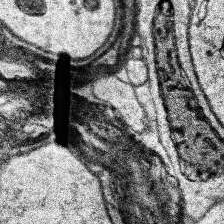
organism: Human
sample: Temporal Lobe